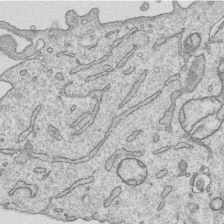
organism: Human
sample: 1205lu cells